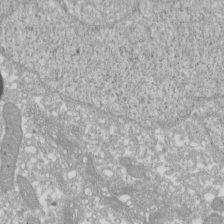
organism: Xenopus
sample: Cilia; centrioles in frog embryo cells